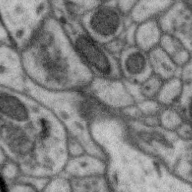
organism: Zebra finch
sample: Brain